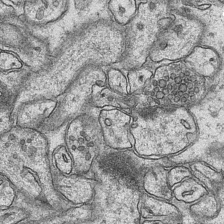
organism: Mouse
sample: CA1 Hippocampus